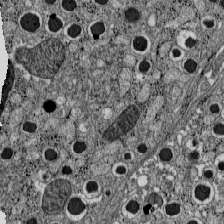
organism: C57BL Mouse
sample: Pancreatic islet